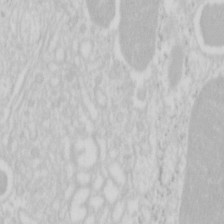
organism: Mouse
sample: Pancreas